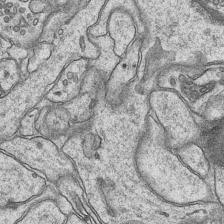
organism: Mouse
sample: CA1 Hippocampus